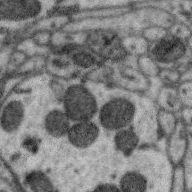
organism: Zebra finch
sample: Brain